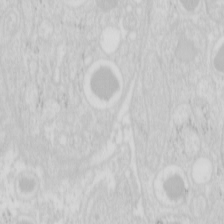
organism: Mouse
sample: Pancreas